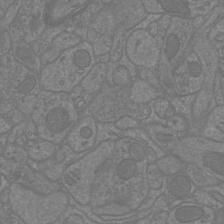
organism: Mouse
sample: Cortical neurons